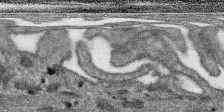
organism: Human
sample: Lung epithelial cells infected with SARS-CoV-2